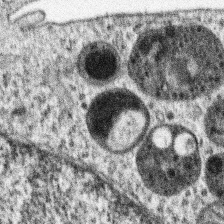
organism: Human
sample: HeLa cells